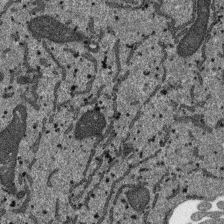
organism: Human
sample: Lung epithelial cells infected with SARS-CoV-2